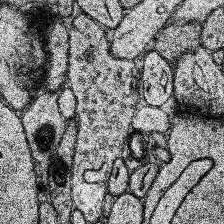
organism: Human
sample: Temporal Lobe